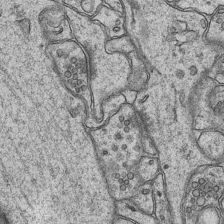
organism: Mouse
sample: CA1 Hippocampus